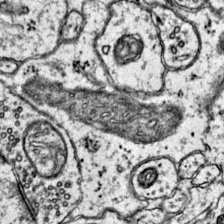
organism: Mouse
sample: Primary visual cortex